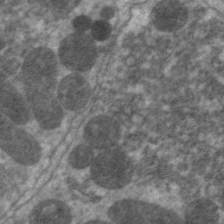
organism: C. elegans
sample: Pharynx